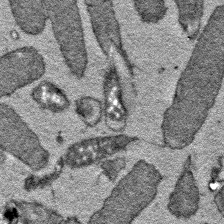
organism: E. coli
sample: E. Coli Bacteria